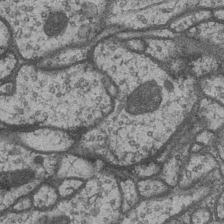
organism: Drosophila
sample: Optic medulla